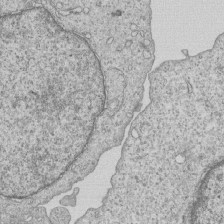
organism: Human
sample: MDA-MB-231 cells